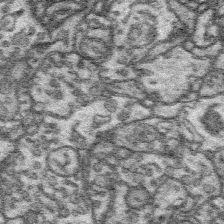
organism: Platynereis dumerilii